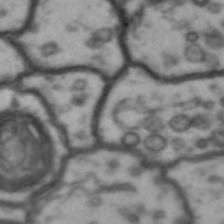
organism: Drosophila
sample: Brain